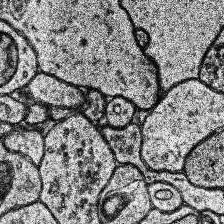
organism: Human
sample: Temporal Lobe